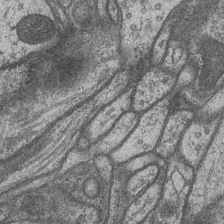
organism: Drosophila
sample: Optic medulla